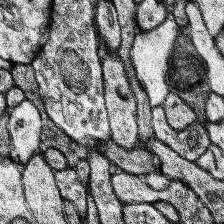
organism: Human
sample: Temporal Lobe